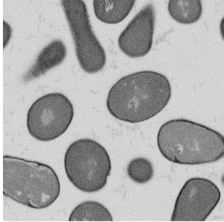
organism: B. subtilis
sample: Bacterial spore